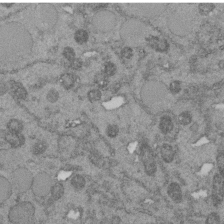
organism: C. elegans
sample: C. elegans embryo early stage